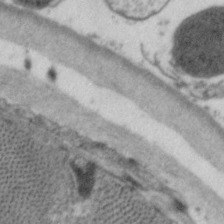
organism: C. elegans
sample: Pharynx